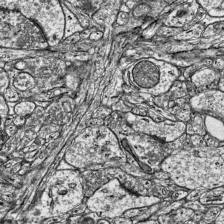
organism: Mouse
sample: Visual Cortex